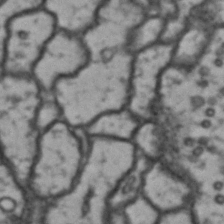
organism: Drosophila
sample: Brain